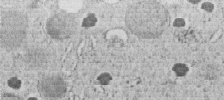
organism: C. elegans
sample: C. elegans embryo early stage